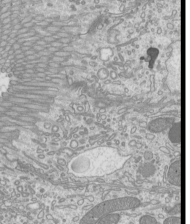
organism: Mouse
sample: Cilia; mouse epididymis